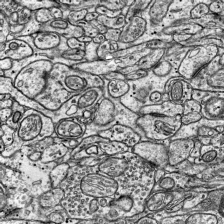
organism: Mouse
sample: Visual Cortex